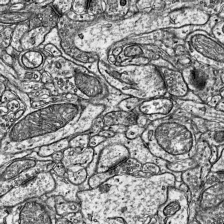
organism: Mouse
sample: Visual Cortex